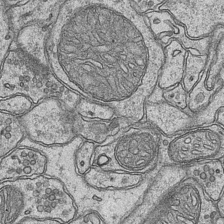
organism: Mouse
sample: CA1 Hippocampus